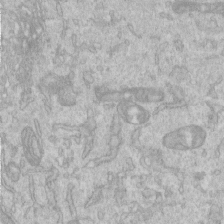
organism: Human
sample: Centriole in RPE cells